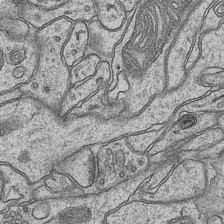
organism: Mouse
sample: CA1 Hippocampus